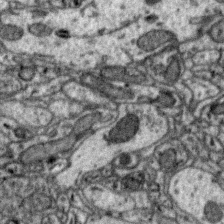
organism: Zebra finch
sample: Brain